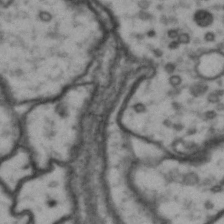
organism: Drosophila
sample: Brain